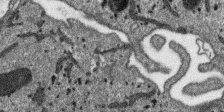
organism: Human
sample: Lung epithelial cells infected with SARS-CoV-2